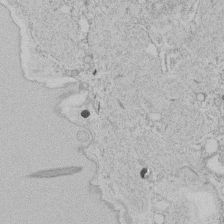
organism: Tetrahymena